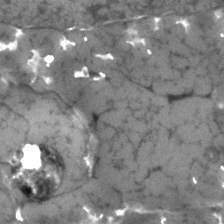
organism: Human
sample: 1205lu cells